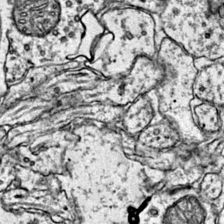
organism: Mouse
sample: Primary visual cortex